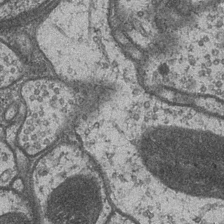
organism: Drosophila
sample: Optic medulla